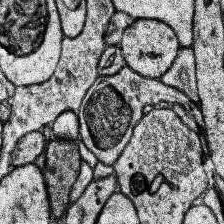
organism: Human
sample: Temporal Lobe